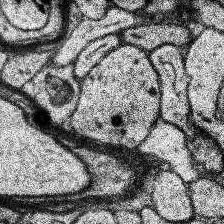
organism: Human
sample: Temporal Lobe